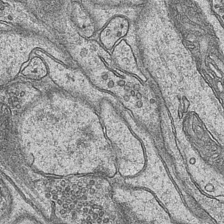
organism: Mouse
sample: CA1 Hippocampus